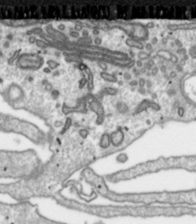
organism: Toxoplasma gondii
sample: Parasites in a vacuole inside a host cell